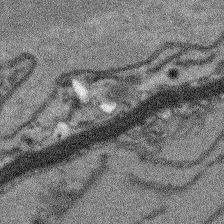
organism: Arabidopsis thaliana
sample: Root tip